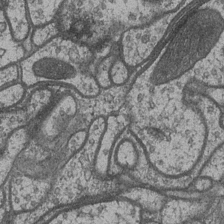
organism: Drosophila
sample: Optic medulla